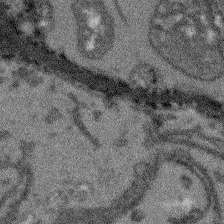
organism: Arabidopsis thaliana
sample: Root tip